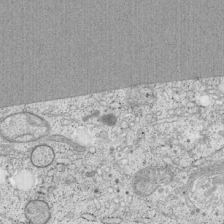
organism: African green monkey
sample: COS-7 cells